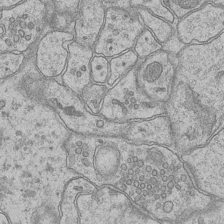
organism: Mouse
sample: CA1 Hippocampus